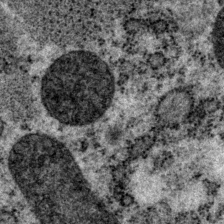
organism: P. pacificus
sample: Pharynx